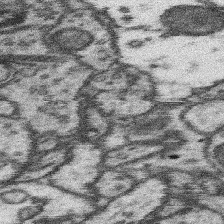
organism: Mouse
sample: Somatosensory cortex neuropil